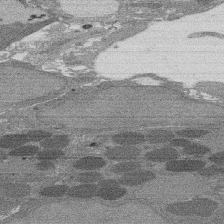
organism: Rat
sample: Salivary granule